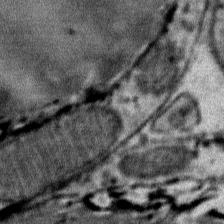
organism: Mouse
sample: Mouse Salivary gland